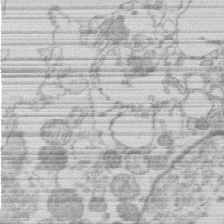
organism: Human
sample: Macrophage cells